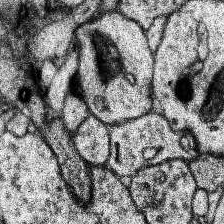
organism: Human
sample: Temporal Lobe